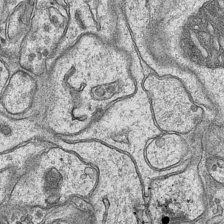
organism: Mouse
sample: CA1 Hippocampus